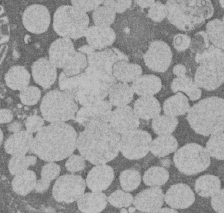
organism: Rat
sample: Salivary granule